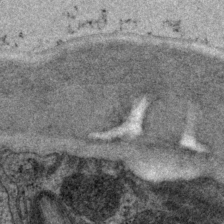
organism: P. pacificus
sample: Pharynx